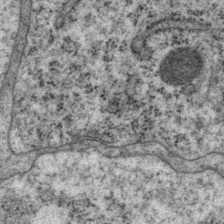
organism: P. pacificus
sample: Pharynx